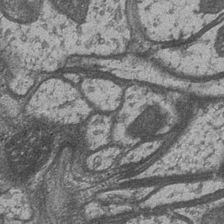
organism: Drosophila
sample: Optic medulla